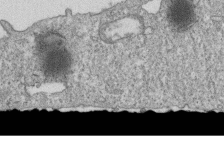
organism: Human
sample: HeLa cell HIV synapse